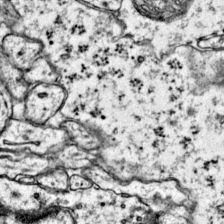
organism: Mouse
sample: Primary visual cortex